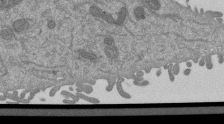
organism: Mouse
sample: ED-1 cell nuclei; centrioles